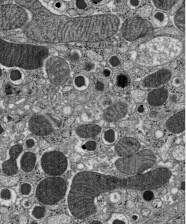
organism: C57BL Mouse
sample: Pancreatic islet